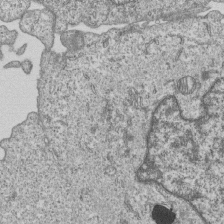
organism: Human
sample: MDA-MB-231 cells